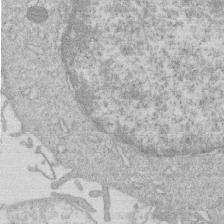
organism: Human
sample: Macrophage cells